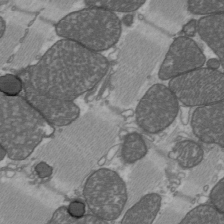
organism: C57BL Mouse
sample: Heart